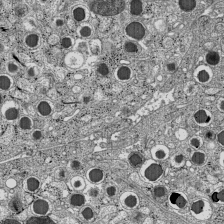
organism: C57BL Mouse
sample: Pancreatic islet